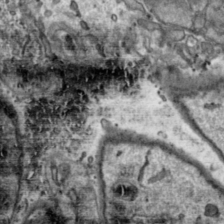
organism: Toxoplasma gondii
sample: Parasites in a vacuole inside a host cell